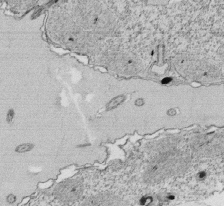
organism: Tetrahymena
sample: Cilia in tetrahymena